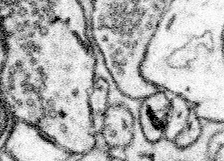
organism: Mouse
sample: Somatosensory cortex neuropil